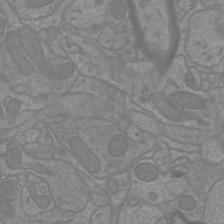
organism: Mouse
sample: Cortical neurons